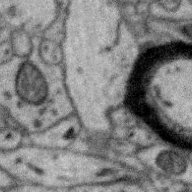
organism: Zebra finch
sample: Brain